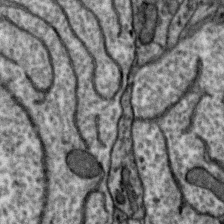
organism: Zebra finch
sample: Brain